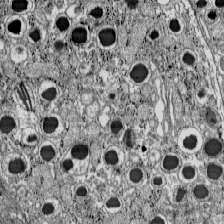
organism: C57BL Mouse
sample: Pancreatic islet